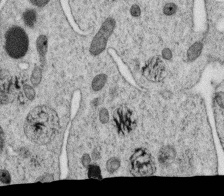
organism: C. elegans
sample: C. elegans oocyte; sperm cells